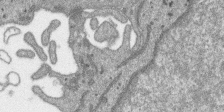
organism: Human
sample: Lung epithelial cells infected with SARS-CoV-2